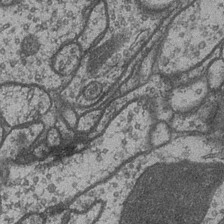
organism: Drosophila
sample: Optic medulla